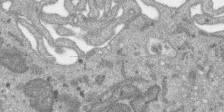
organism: Human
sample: Lung epithelial cells infected with SARS-CoV-2